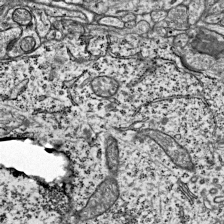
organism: Mouse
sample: Visual Cortex